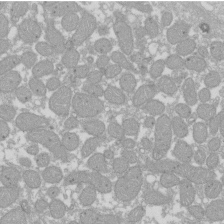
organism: Xenopus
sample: Cilia; centrioles in frog embryo cells